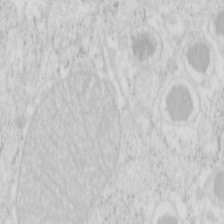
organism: Mouse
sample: Pancreas